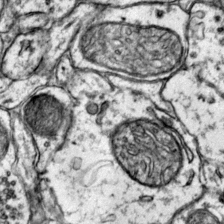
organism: Mouse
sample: Primary visual cortex